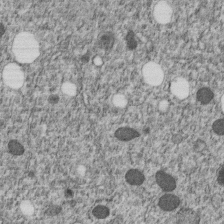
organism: C. elegans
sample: C. elegans embryo early stage